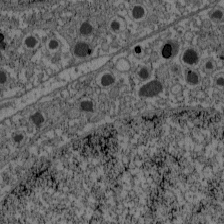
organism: C57BL Mouse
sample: Pancreatic islet